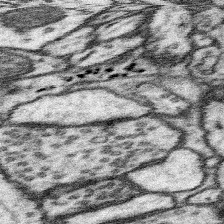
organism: Mouse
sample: Somatosensory cortex neuropil